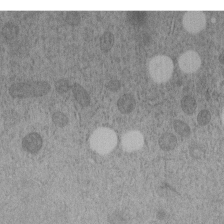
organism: C. elegans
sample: C. elegans embryo early stage